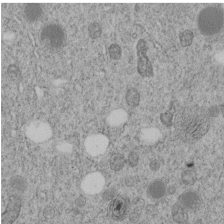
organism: C. elegans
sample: C. elegans embryo early stage